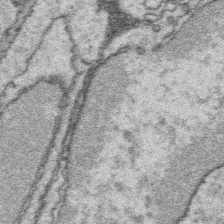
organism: Platynereis dumerilii